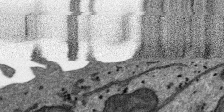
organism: Human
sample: Lung epithelial cells, uninfected (mock) control